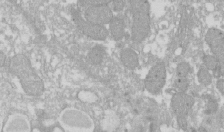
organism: Xenopus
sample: Cilia; centrioles in frog embryo cells